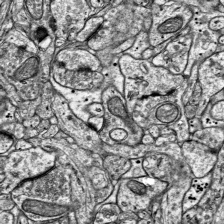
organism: Mouse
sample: Visual Cortex